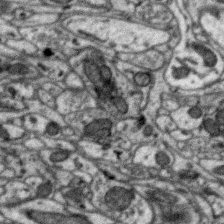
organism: Zebra finch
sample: Brain